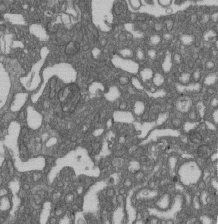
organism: Drosophila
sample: Nephrocyte